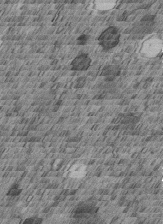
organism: C. elegans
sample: C. elegans embryo early stage